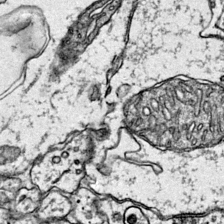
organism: Mouse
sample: Primary visual cortex